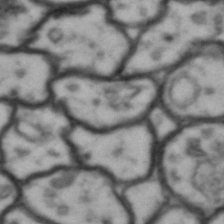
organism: Drosophila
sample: Brain